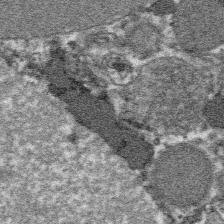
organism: Platynereis dumerilii